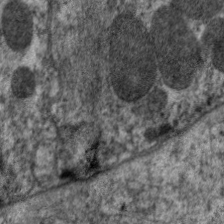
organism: C. elegans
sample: Pharynx